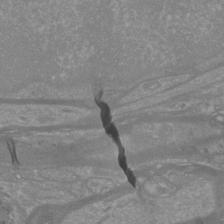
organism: Mouse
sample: Cortical neurons